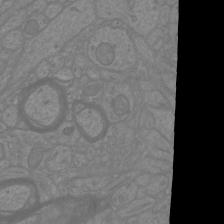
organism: Mouse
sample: Cortical neurons